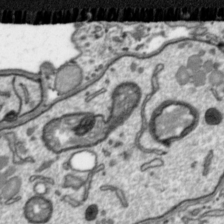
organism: Toxoplasma gondii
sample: Parasites in a vacuole inside a host cell